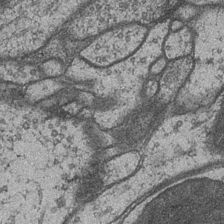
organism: Drosophila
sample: Optic medulla